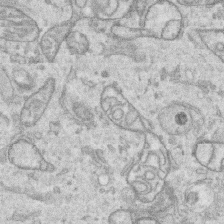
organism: Human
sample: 1205lu cells